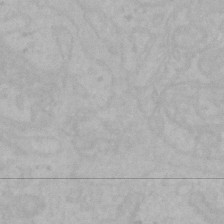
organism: Mouse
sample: Choroid plexus